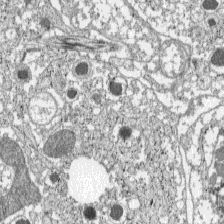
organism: C57BL Mouse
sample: Pancreatic islet